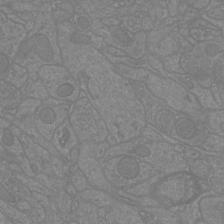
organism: Mouse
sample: Cortical neurons